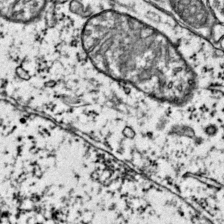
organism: Mouse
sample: Primary visual cortex